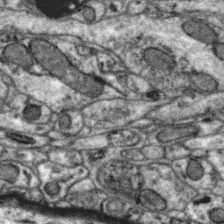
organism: Zebra finch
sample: Brain